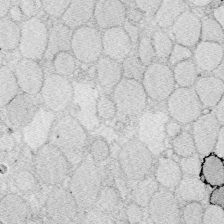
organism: Zebrafish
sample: Whole-Brain